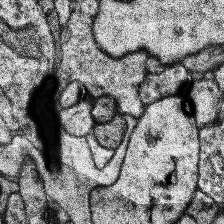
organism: Human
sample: Temporal Lobe